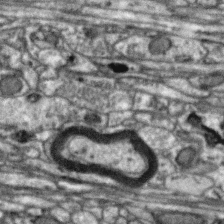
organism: Zebra finch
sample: Brain